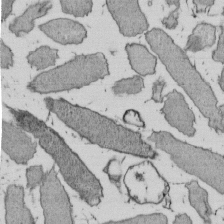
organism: E. coli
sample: Bacterial nucleoid